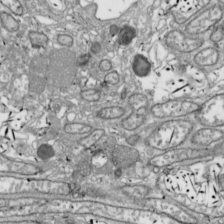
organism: Drosophila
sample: Cell division; meiosis; drosophila spermatocytes